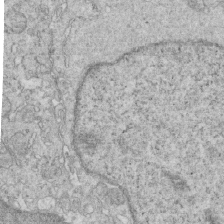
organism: Mouse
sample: Multiciliated cells